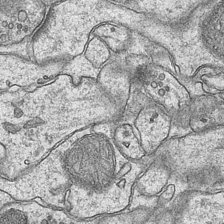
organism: Mouse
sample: CA1 Hippocampus